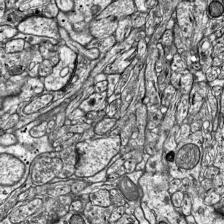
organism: Mouse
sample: Visual Cortex